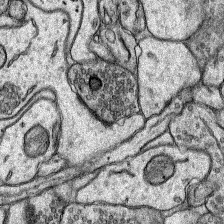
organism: Rat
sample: Hippocampus